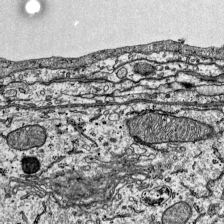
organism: Mouse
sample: Visual Cortex